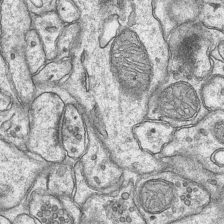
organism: Mouse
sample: CA1 Hippocampus